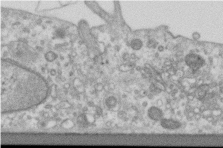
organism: Human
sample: Centriole in RPE cells